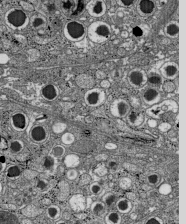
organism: C57BL Mouse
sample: Pancreatic islet